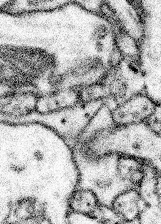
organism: Mouse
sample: Somatosensory cortex neuropil